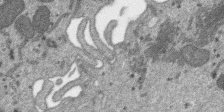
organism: Human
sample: Lung epithelial cells infected with SARS-CoV-2